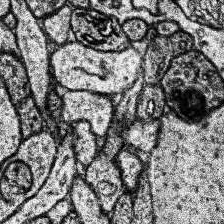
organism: Human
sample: Temporal Lobe